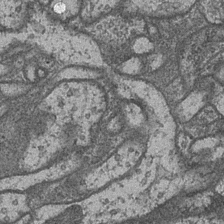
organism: Drosophila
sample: Optic medulla